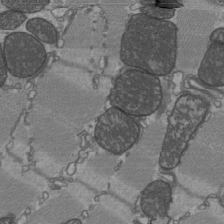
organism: C57BL Mouse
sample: Heart